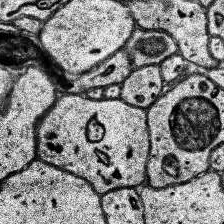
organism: Human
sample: Temporal Lobe